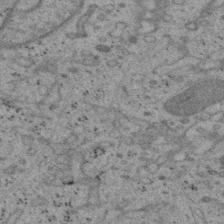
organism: Human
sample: HeLa cells